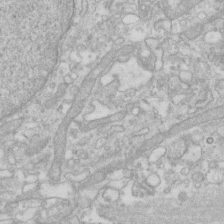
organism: Human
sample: Fibroblast cells